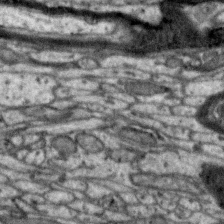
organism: Zebra finch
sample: Brain